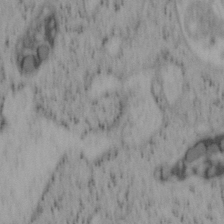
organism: Mouse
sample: OT-I killer T cells with ID8 ovarian cancer cells